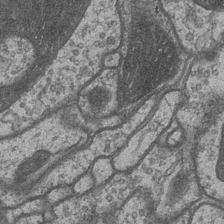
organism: Drosophila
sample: Optic medulla